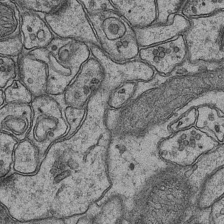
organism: Mouse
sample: CA1 Hippocampus